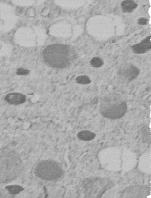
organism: C. elegans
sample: C. elegans embryo early stage